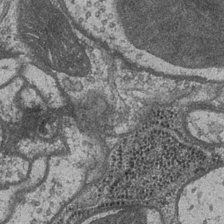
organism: Drosophila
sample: Optic medulla